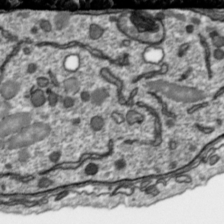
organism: Toxoplasma gondii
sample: Parasites in a vacuole inside a host cell